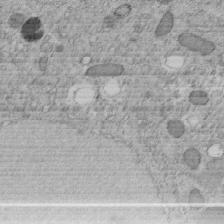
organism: C. elegans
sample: C. elegans embryo early stage